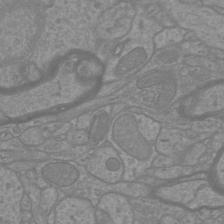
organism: Mouse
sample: Cortical neurons